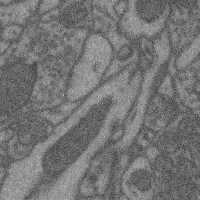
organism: Mouse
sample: Cerebral cortex